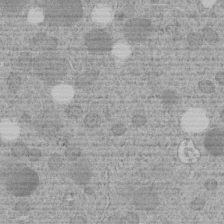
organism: C. elegans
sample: C. elegans embryo early stage